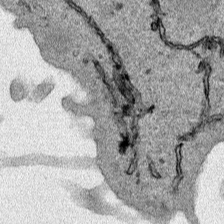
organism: Human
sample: Mitochondria in HCT116 cells